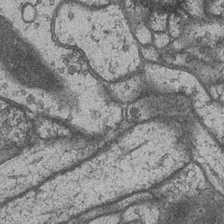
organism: Drosophila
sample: Optic medulla